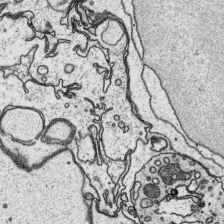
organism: Platynereis dumerilii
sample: Parapodia